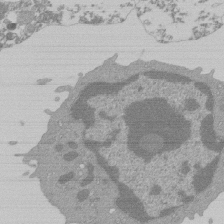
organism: Mouse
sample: Activated Pmel transgenic CD8+ T Cells